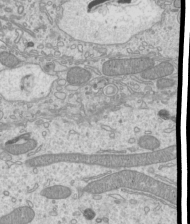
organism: Mouse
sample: Cilia; mouse epididymis